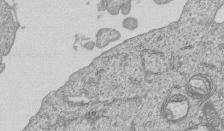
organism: Human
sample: MDA-MB-231 cells